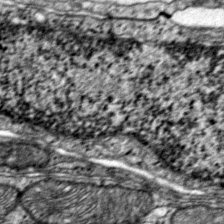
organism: Mouse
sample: Primary visual cortex